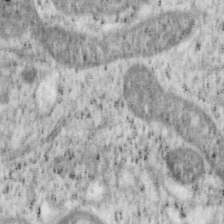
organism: Mouse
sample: OT-I killer T cells with ID8 ovarian cancer cells